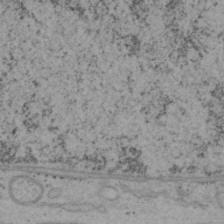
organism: Human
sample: HeLa cells